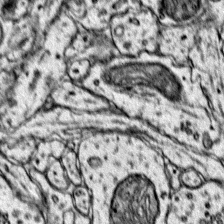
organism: Mouse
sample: Primary visual cortex